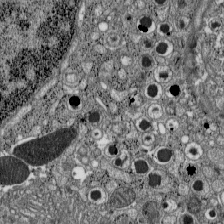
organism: C57BL Mouse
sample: Pancreatic islet